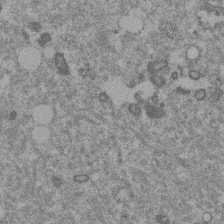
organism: Mouse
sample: Dividing mouse embryo 1 cell stage